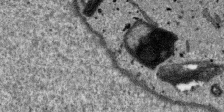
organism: Human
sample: Lung epithelial cells, uninfected (mock) control